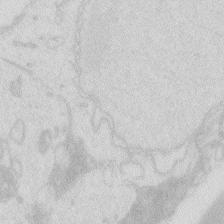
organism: Zebrafish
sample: Macrophage